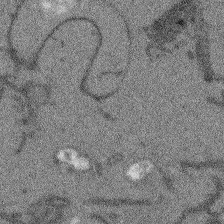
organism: Arabidopsis thaliana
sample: Root tip